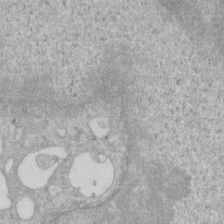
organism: Human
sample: Centriole in RPE cells